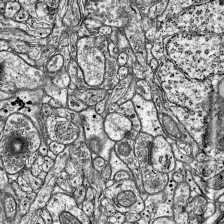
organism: Mouse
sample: Visual Cortex